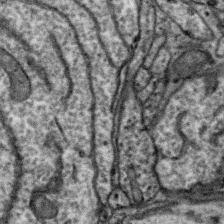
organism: Zebra finch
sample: Brain